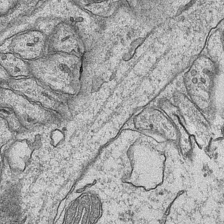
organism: Mouse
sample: CA1 Hippocampus